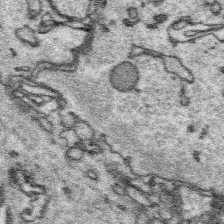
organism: Platynereis dumerilii